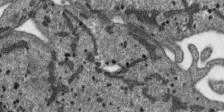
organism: Human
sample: Lung epithelial cells infected with SARS-CoV-2